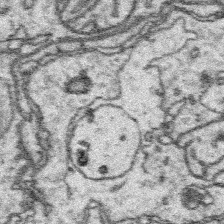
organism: Platynereis dumerilii